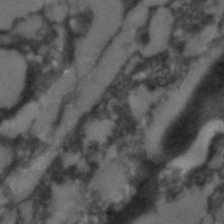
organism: C. elegans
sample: C. elegans embryo